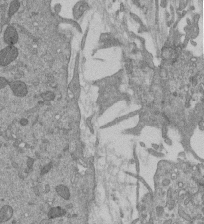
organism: Mouse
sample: ED-1 cell nuclei; centrioles